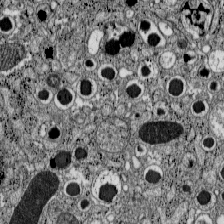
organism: C57BL Mouse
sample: Pancreatic islet